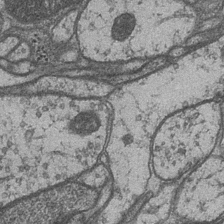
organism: Drosophila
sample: Optic medulla